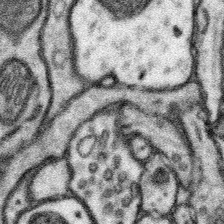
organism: Mouse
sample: Somatosensory cortex neuropil